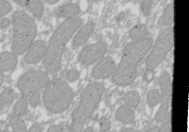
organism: Xenopus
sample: Cilia; centrioles in frog embryo cells